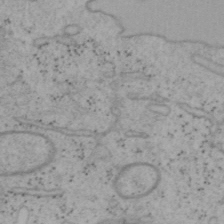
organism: Human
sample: HeLa cells